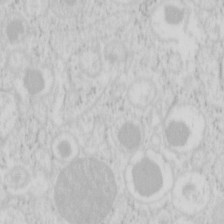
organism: Mouse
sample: Pancreas